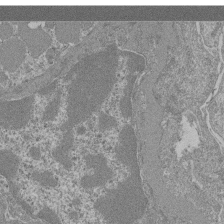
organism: Mouse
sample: Glomerulus